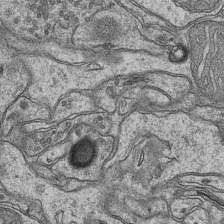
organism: Mouse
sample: CA1 Hippocampus